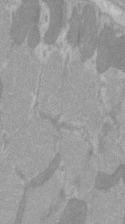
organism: C57BL Mouse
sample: Tibialis anterior muscle cell